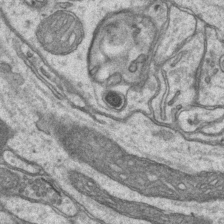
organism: Mouse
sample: CA1 Hippocampus